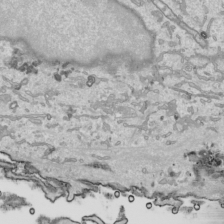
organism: Human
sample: Mitochondria in HCT116 cells